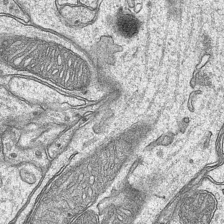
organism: Mouse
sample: CA1 Hippocampus